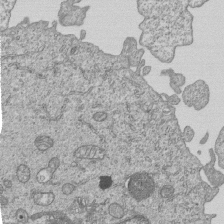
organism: Human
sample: MDA-MB-231 cells